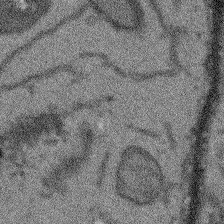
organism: Arabidopsis thaliana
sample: Root tip